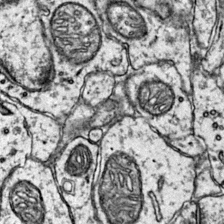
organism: Mouse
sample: Primary visual cortex